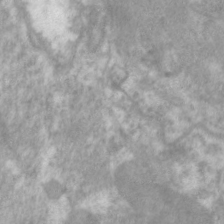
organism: C. elegans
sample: Pharynx